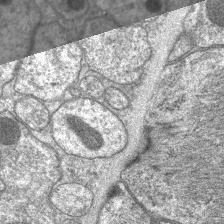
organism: C. elegans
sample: Pharynx